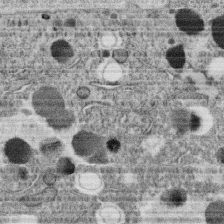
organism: C. elegans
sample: C. elegans oocyte; sperm cells